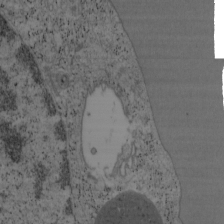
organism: Mouse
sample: OT-I killer T cells with ID8 ovarian cancer cells